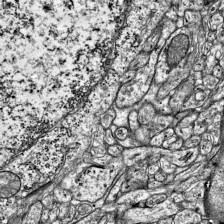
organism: Mouse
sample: Visual Cortex